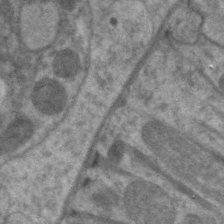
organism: C. elegans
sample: Pharynx